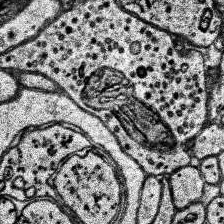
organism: Human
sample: Temporal Lobe